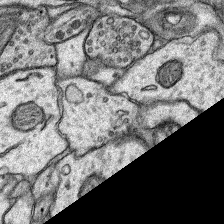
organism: Rat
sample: Hippocampus